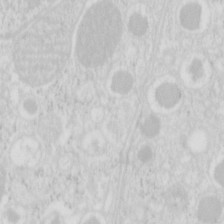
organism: Mouse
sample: Pancreas